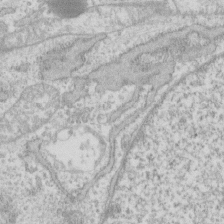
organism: Human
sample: Fibroblast cells